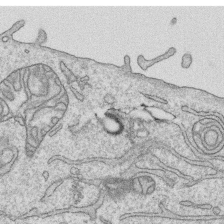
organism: Human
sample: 1205lu cells